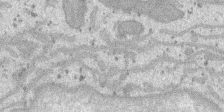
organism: Human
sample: Lung epithelial cells infected with SARS-CoV-2